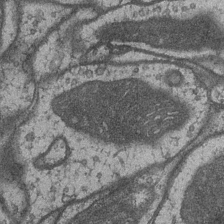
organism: Drosophila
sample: Optic medulla